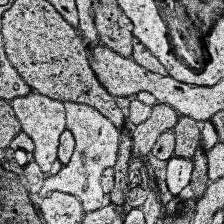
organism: Human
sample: Temporal Lobe